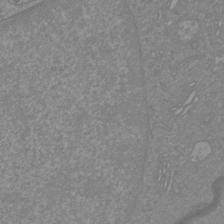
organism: Mouse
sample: Cortical neurons